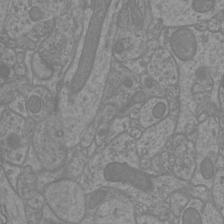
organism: Mouse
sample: Cortical neurons